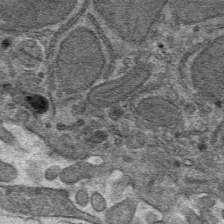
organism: Mouse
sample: Mouse hepatocytes